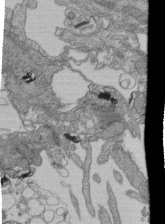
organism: Human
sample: Retinal organoid Rod and Cone cells